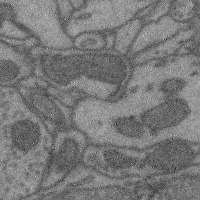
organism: Mouse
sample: Cerebral cortex